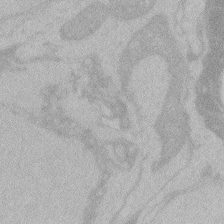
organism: Zebrafish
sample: Macrophage infected with Toxoplasma gondii